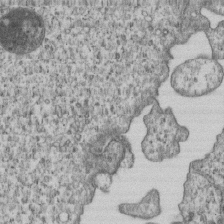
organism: Human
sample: MDA-MB-231 cells